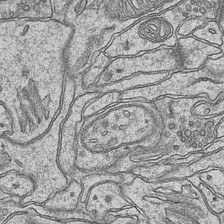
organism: Mouse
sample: CA1 Hippocampus